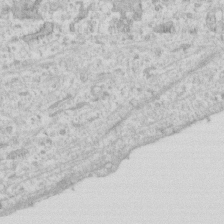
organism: Human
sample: Fibroblast cells